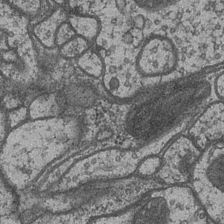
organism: Drosophila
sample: Optic medulla